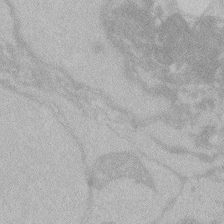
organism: Zebrafish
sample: Macrophage infected with Toxoplasma gondii